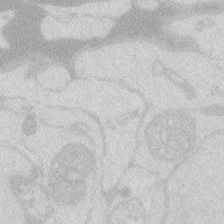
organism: Zebrafish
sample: Macrophage